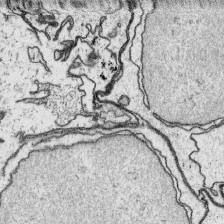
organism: Platynereis dumerilii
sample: Parapodia